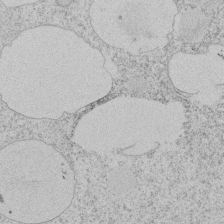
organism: Tetrahymena